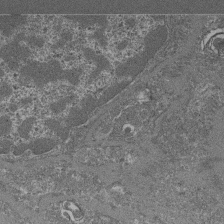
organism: Mouse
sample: Glomerulus